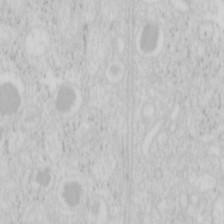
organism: Mouse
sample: Pancreas